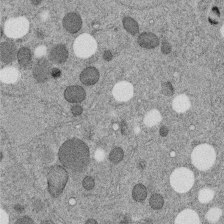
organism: C. elegans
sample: C. elegans embryo early stage